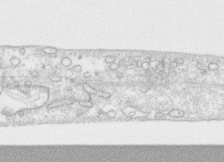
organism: Human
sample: CRL-1474